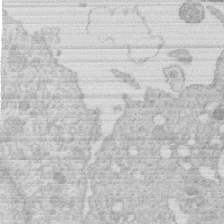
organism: Human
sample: Macrophage cells